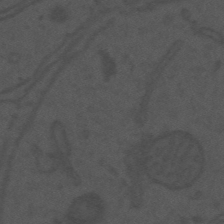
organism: Mouse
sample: Suprachiasmatic nucleus